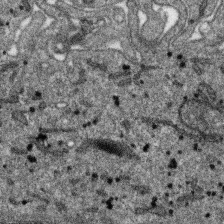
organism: Human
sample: Lung epithelial cells infected with SARS-CoV-2